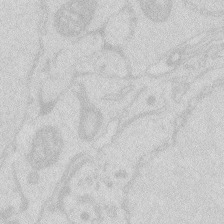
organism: Zebrafish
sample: Macrophage